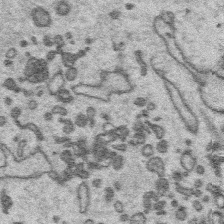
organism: Platynereis dumerilii